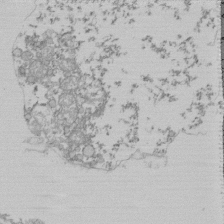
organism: Mouse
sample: Activated Pmel transgenic CD8+ T Cells